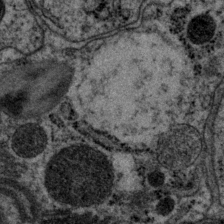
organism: P. pacificus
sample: Pharynx